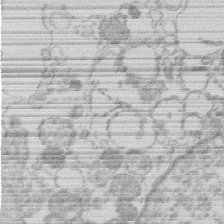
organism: Human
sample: Macrophage cells